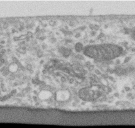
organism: Human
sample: Centriole in RPE cells